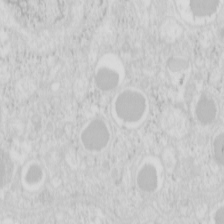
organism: Mouse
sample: Pancreas